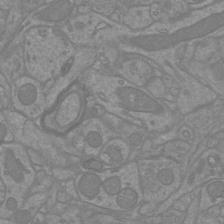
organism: Mouse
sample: Cortical neurons